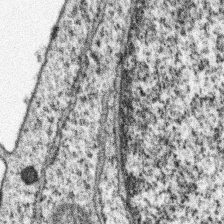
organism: Human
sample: HeLa cells